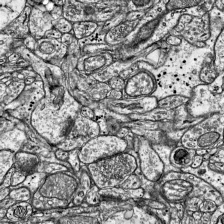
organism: Mouse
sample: Visual Cortex